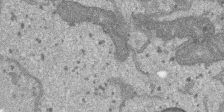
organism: Human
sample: Lung epithelial cells infected with SARS-CoV-2